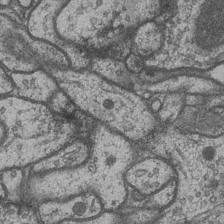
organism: Drosophila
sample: Optic medulla